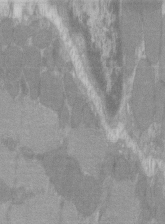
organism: C57BL Mouse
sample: Tibialis anterior muscle cell